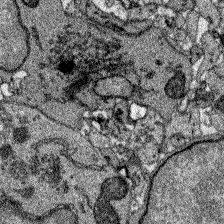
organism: Zebrafish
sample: Larval olfactory bulb